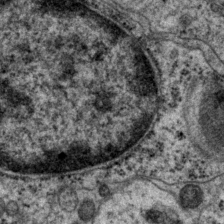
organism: P. pacificus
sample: Pharynx